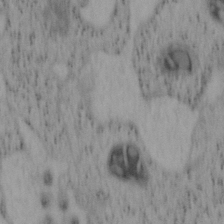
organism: Mouse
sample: OT-I killer T cells with ID8 ovarian cancer cells